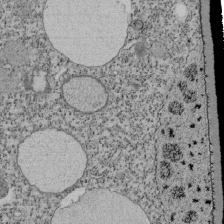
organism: Tetrahymena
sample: Cilia in tetrahymena